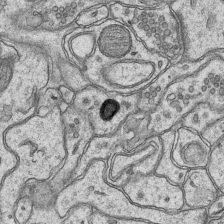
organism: Mouse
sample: CA1 Hippocampus